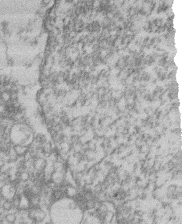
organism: Mouse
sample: T cell stromal cell synapse